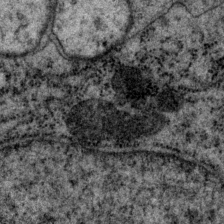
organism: P. pacificus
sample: Pharynx